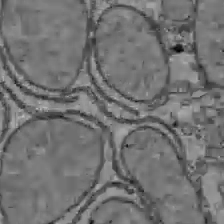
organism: C57BL Mouse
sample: Liver